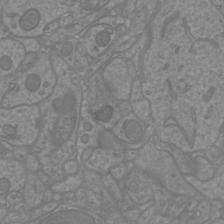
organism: Mouse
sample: Cortical neurons